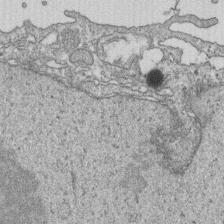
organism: Human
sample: HeLa cell HIV synapse